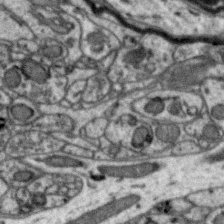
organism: Zebra finch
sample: Brain